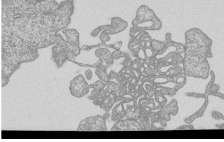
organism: Human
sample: MDA-MB-231 cells